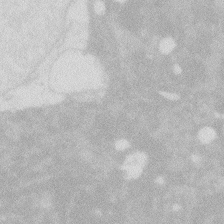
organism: Zebrafish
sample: Macrophage